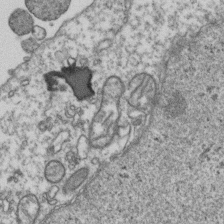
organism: Human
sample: Activated Jurkat CD4+ T cells